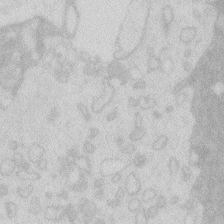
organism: Zebrafish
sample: Macrophage